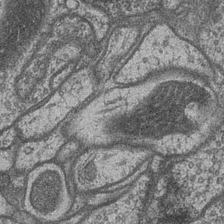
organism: Drosophila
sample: Optic medulla